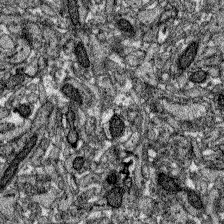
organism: Zebrafish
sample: Larval olfactory bulb